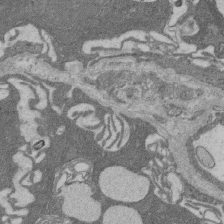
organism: Rat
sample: Salivary granule